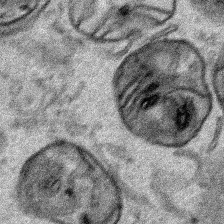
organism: Human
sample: Mitochondria in HCT116 cells